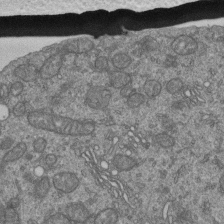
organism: Human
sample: Retinal organoid Rod and Cone cells